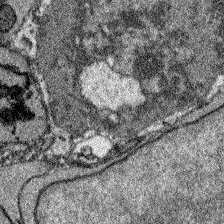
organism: Zebrafish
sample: Larval olfactory bulb